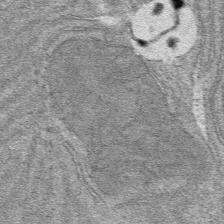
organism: Mouse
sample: Mouse hepatocytes